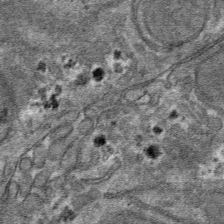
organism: Mouse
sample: Mouse hepatocytes